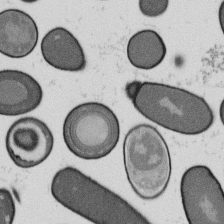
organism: B. subtilis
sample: Bacterial spore